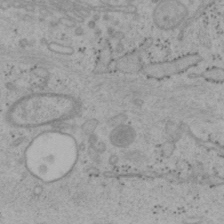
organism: Human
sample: HeLa cells